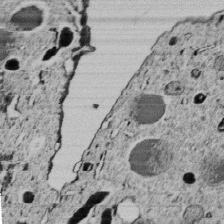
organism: C. elegans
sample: C. elegans embryo early stage